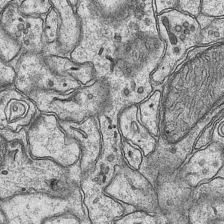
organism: Mouse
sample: CA1 Hippocampus